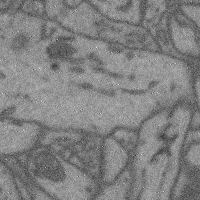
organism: Mouse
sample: Cerebral cortex